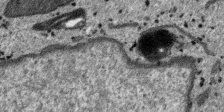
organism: Human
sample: Lung epithelial cells, uninfected (mock) control